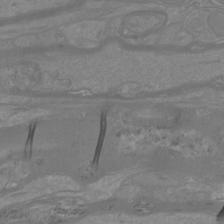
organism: Mouse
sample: Cortical neurons